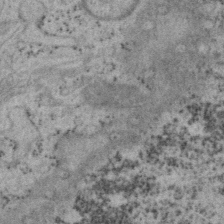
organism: Human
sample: HeLa cells